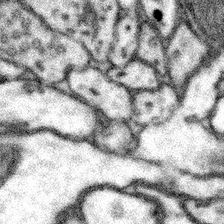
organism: Mouse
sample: Somatosensory cortex neuropil